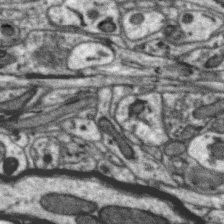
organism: Zebra finch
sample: Brain